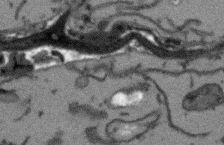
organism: Arabidopsis thaliana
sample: Root tip